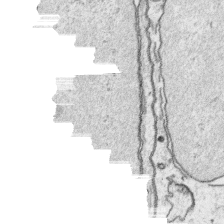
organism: Platynereis dumerilii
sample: Parapodia